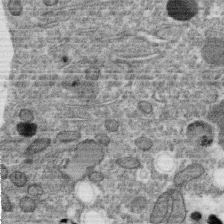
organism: C. elegans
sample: C. elegans oocyte; sperm cells